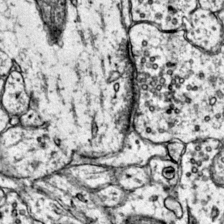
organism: Mouse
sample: Primary visual cortex